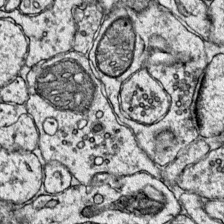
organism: Mouse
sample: Primary visual cortex